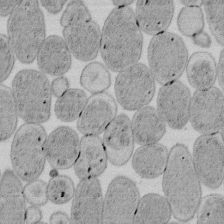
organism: E. coli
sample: Bacterial nucleoid